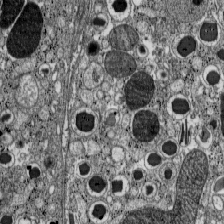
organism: C57BL Mouse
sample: Pancreatic islet